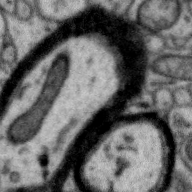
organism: Zebra finch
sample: Brain